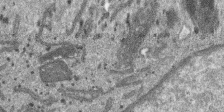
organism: Human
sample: Lung epithelial cells infected with SARS-CoV-2